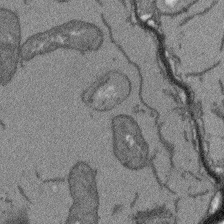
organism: Arabidopsis thaliana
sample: Root tip